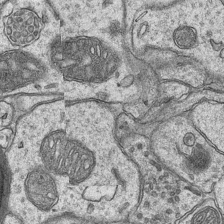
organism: Mouse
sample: CA1 Hippocampus